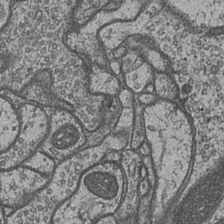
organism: Drosophila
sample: Optic medulla